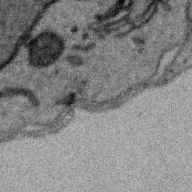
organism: Zebra finch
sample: Brain